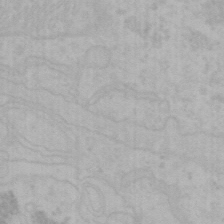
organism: Mouse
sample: Choroid plexus